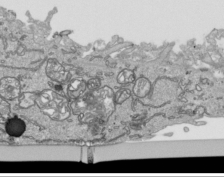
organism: Human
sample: Mitochondria in HCT116 cells